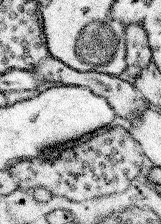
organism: Mouse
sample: Somatosensory cortex neuropil